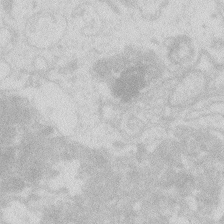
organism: Zebrafish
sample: Macrophage